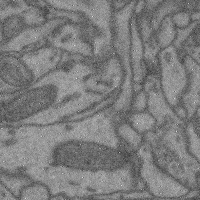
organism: Mouse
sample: Cerebral cortex